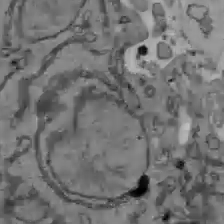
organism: C57BL Mouse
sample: Liver